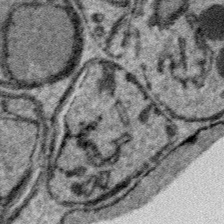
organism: Plasmodium falciparum